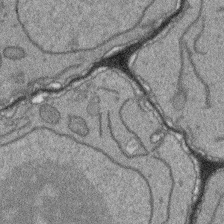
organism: Arabidopsis thaliana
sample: Root tip